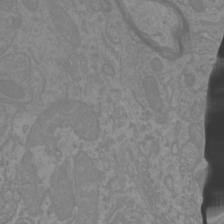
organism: Mouse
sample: Cortical neurons